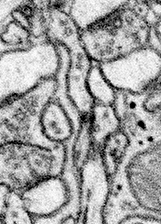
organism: Mouse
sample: Somatosensory cortex neuropil